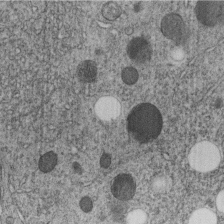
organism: C. elegans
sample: C. elegans embryo early stage